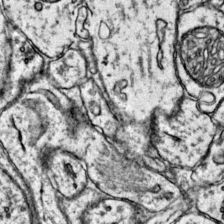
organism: Mouse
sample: Primary visual cortex